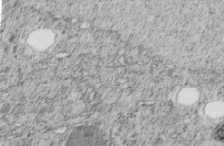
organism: C. elegans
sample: C. elegans embryo early stage